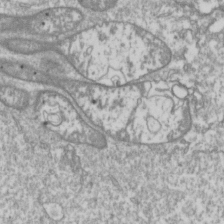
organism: Drosophila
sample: Cell division; meiosis; drosophila spermatocytes